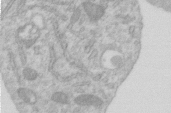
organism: Human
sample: Centriole in RPE cells